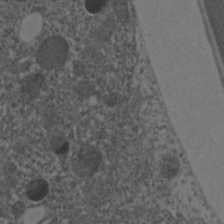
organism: C. elegans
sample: C. elegans embryo